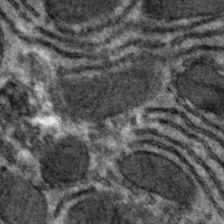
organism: Mouse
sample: Mouse hepatocytes